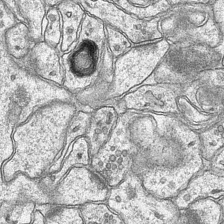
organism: Mouse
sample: CA1 Hippocampus